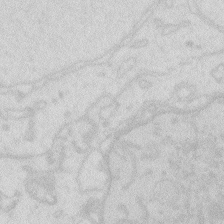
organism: Zebrafish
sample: Macrophage